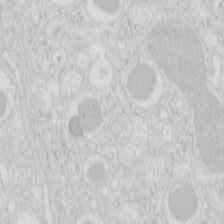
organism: Mouse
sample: Pancreas